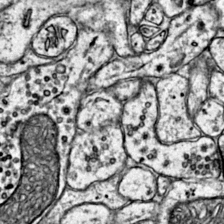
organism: Mouse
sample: Primary visual cortex